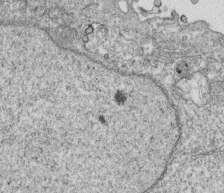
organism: Human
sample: HeLa cell HIV synapse